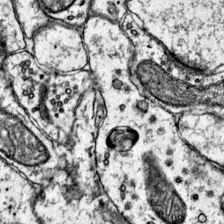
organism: Mouse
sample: Primary visual cortex